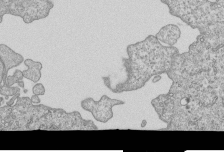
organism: Human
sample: MDA-MB-231 cells